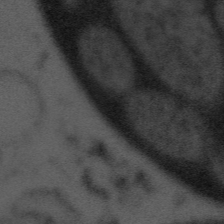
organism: Tuwongella immobilis